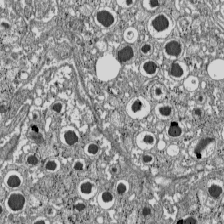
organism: C57BL Mouse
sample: Pancreatic islet